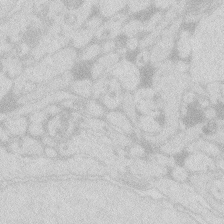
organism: Zebrafish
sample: Macrophage